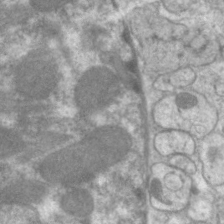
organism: C. elegans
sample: Pharynx